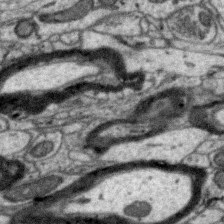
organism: Zebra finch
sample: Brain